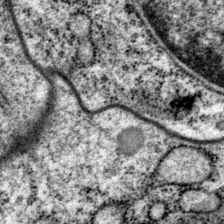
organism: P. pacificus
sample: Pharynx